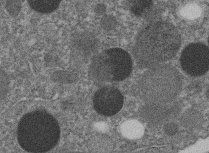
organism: C. elegans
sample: C. elegans embryo early stage